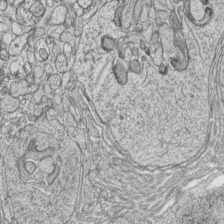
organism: Zebrafish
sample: synaptic ribbons in rod cells and cone cells